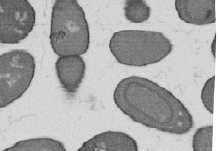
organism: B. subtilis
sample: Bacterial spore